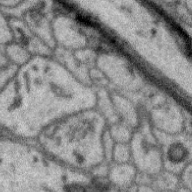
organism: Zebra finch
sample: Brain